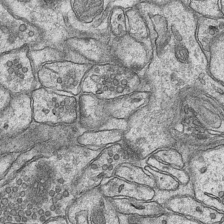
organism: Mouse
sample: CA1 Hippocampus